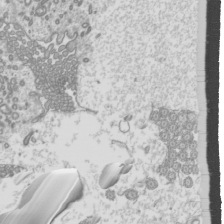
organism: Mouse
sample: Cilia; mouse epididymis